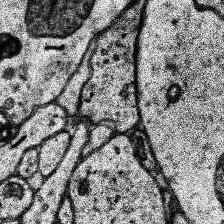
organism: Human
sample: Temporal Lobe